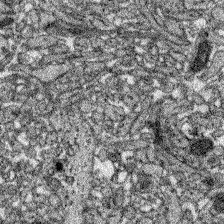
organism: Zebrafish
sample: Larval olfactory bulb